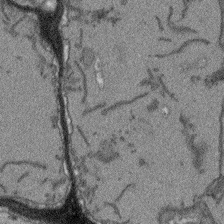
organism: Arabidopsis thaliana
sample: Root tip